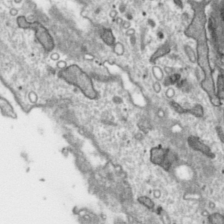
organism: Toxoplasma gondii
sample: Parasites in a vacuole inside a host cell